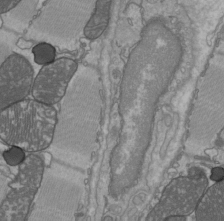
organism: C57BL Mouse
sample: Heart